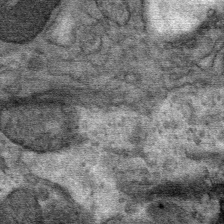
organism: Mouse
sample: Mouse Salivary gland